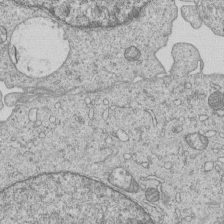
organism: Human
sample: MDA-MB-231 cells